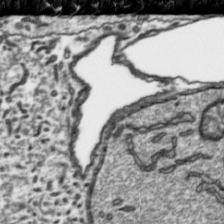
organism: Toxoplasma gondii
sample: Parasites in a vacuole inside a host cell